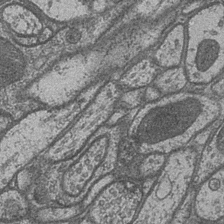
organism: Drosophila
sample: Optic medulla